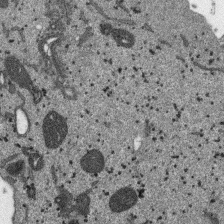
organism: Human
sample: Lung epithelial cells infected with SARS-CoV-2